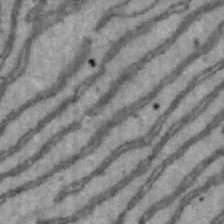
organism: Mouse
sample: Liver